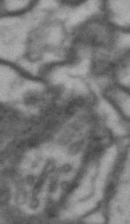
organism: Drosophila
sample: Brain